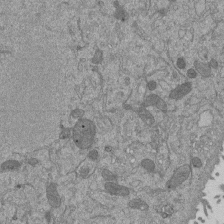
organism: Mouse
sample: ED-1 cell nuclei; centrioles